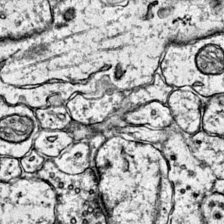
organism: Mouse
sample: Primary visual cortex